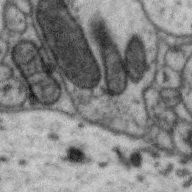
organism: Zebra finch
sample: Brain